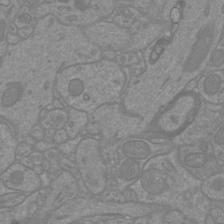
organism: Mouse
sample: Cortical neurons